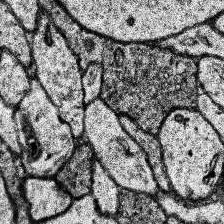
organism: Human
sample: Temporal Lobe